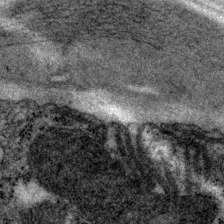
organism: P. pacificus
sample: Pharynx